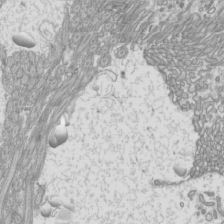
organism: Mouse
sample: Cilia; mouse epididymis